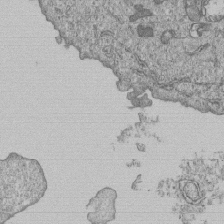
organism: Human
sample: MDA-MB-231 cells